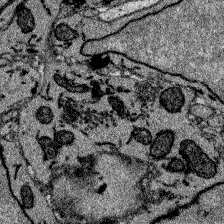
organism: Zebrafish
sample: Larval olfactory bulb